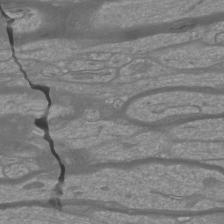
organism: Mouse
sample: Cortical neurons